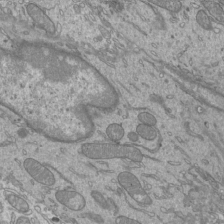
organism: Mouse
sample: Cilia; mouse epididymis